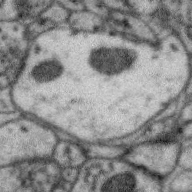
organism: Zebra finch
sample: Brain